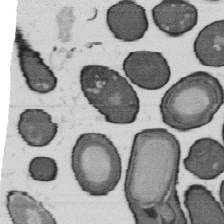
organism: B. subtilis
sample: Bacterial spore